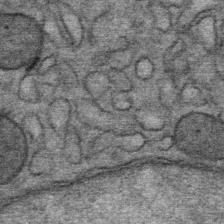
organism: Mouse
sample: Mouse Salivary gland